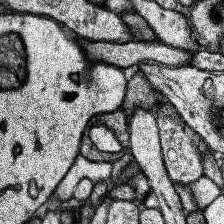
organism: Human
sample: Temporal Lobe